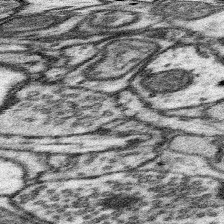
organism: Mouse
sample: Somatosensory cortex neuropil